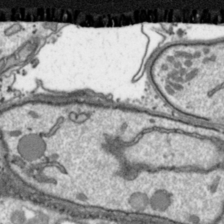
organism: Toxoplasma gondii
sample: Parasites in a vacuole inside a host cell